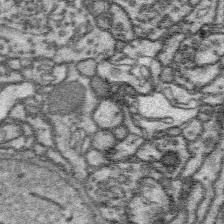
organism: Platynereis dumerilii